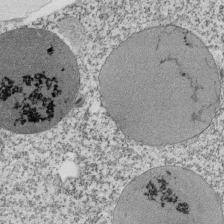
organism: Tetrahymena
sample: Cilia in tetrahymena